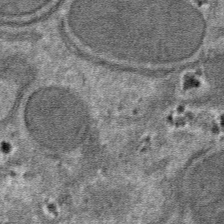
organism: Mouse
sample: Mouse hepatocytes